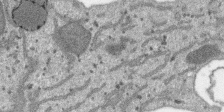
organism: Human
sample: Lung epithelial cells infected with SARS-CoV-2